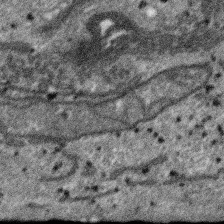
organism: Human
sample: Lung epithelial cells infected with SARS-CoV-2